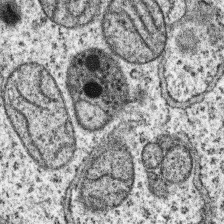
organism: Human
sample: HeLa cells